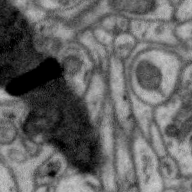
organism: Zebra finch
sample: Brain